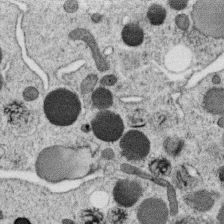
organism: C. elegans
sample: C. elegans oocyte; sperm cells